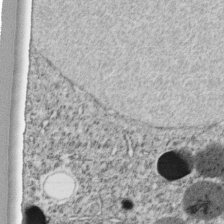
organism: C. elegans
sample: C. elegans embryo early stage